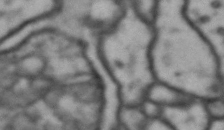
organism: Drosophila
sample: Brain